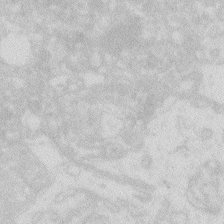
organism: Zebrafish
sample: Macrophage